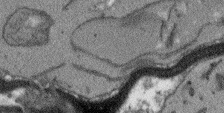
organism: Arabidopsis thaliana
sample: Root tip